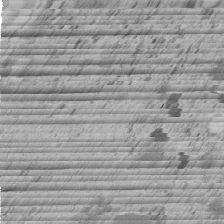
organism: C. elegans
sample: C. elegans embryo early stage